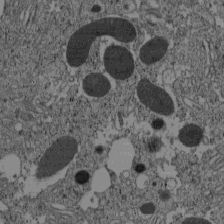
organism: C57BL Mouse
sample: Pancreatic islet